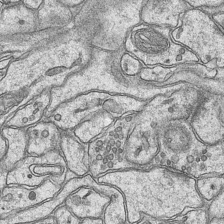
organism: Mouse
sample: CA1 Hippocampus